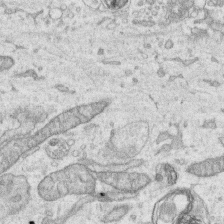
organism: Human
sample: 1205lu cells